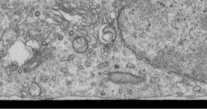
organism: Human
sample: Centriole in RPE cells